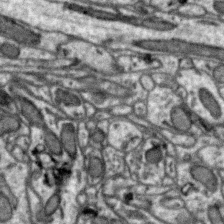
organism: Zebra finch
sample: Brain